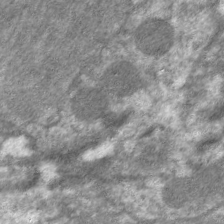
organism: C. elegans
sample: Pharynx